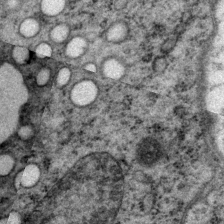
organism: P. pacificus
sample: Pharynx